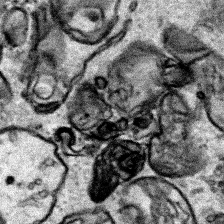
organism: Human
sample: Mitochondria in HCT116 cells